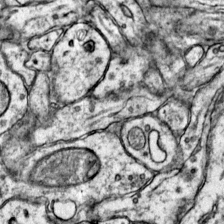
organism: Mouse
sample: Primary visual cortex